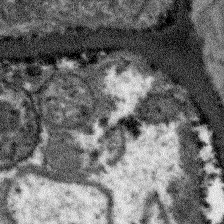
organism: Arabidopsis thaliana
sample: Root tip